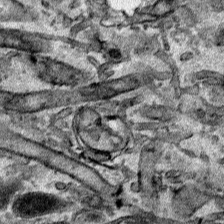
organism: Human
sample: Mitochondria in HCT116 cells